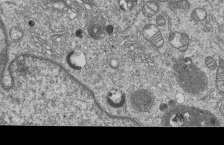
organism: Human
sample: MDA-MB-231 cells